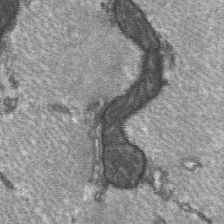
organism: C57BL Mouse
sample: Soleus